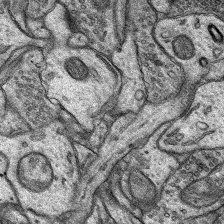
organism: Rat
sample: Hippocampus